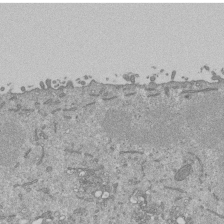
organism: Mouse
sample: ED-1 cell nuclei; centrioles